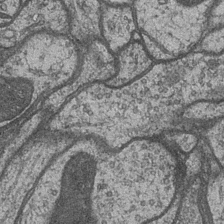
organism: Drosophila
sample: Optic medulla